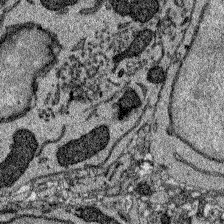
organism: Zebrafish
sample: Larval olfactory bulb